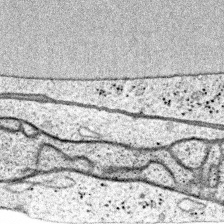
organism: Human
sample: HeLa cells